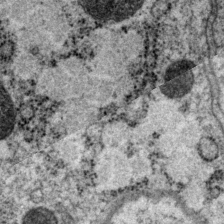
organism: P. pacificus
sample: Pharynx